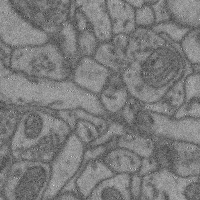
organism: Mouse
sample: Cerebral cortex